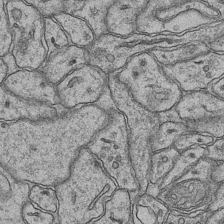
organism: Mouse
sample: CA1 Hippocampus